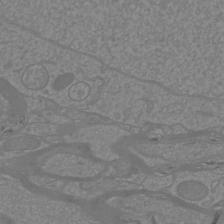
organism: Mouse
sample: Cortical neurons